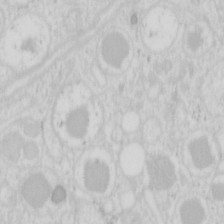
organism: Mouse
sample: Pancreas